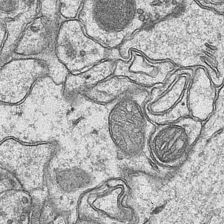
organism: Mouse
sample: CA1 Hippocampus